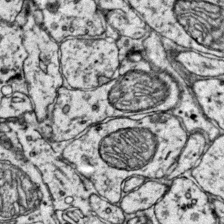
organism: Mouse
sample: Primary visual cortex